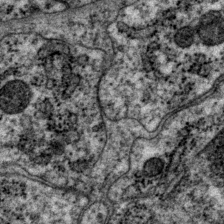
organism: P. pacificus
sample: Pharynx